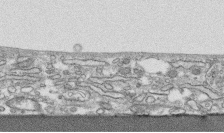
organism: Human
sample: CRL-1474